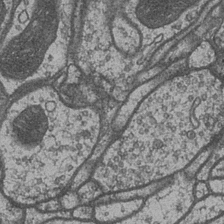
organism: Drosophila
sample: Optic medulla